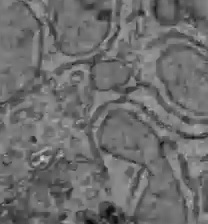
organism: C57BL Mouse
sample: Liver